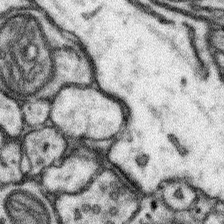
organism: Mouse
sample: Somatosensory cortex neuropil